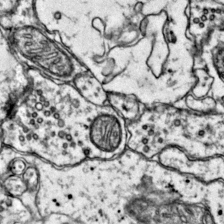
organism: Mouse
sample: Primary visual cortex